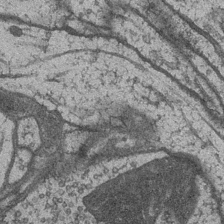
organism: Drosophila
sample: Optic medulla